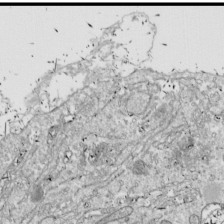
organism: Drosophila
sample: Cell division; meiosis; drosophila spermatocytes